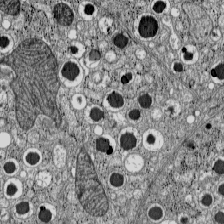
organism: C57BL Mouse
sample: Pancreatic islet